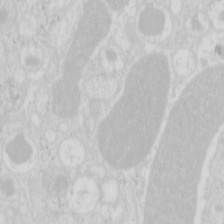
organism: Mouse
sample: Pancreas